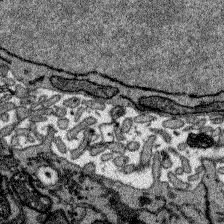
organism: Zebrafish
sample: Larval olfactory bulb